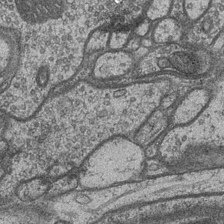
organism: Drosophila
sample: Optic medulla